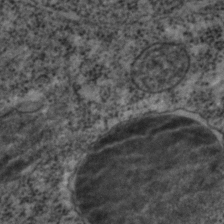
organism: C. elegans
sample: C. elegans embryo